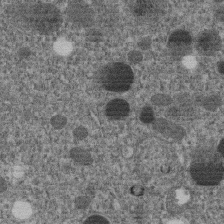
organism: C. elegans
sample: C. elegans embryo early stage